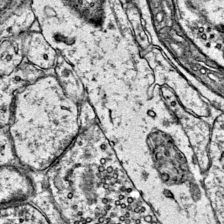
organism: Mouse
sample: Primary visual cortex